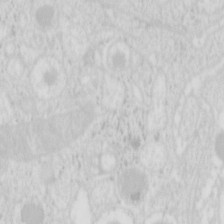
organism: Mouse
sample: Pancreas